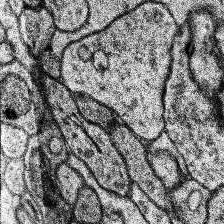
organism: Human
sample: Temporal Lobe